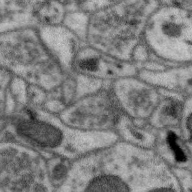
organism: Zebra finch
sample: Brain